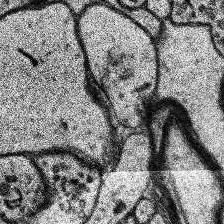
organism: Human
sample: Temporal Lobe